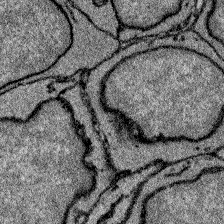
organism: Zebrafish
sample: Larval olfactory bulb